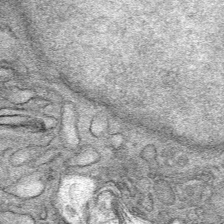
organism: Mouse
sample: Mouse Salivary gland